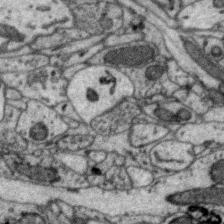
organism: Zebra finch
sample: Brain